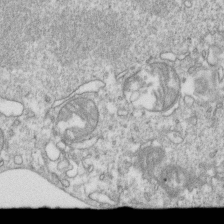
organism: Mouse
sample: Activated OT-1 CD8+ T cells